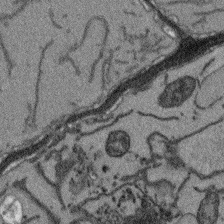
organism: Arabidopsis thaliana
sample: Root tip